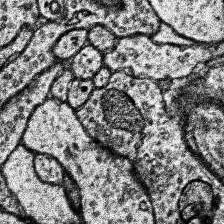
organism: Human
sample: Temporal Lobe